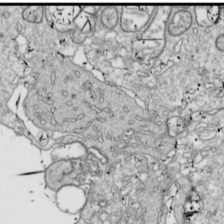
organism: Drosophila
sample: Cell division; meiosis; drosophila spermatocytes